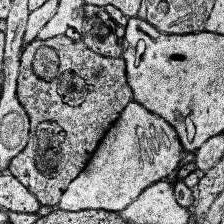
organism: Human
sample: Temporal Lobe